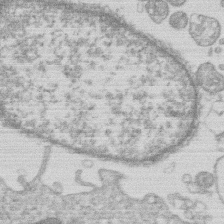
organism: Human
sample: Macrophage cells